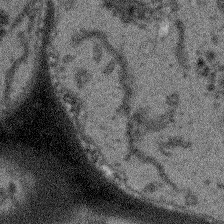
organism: Arabidopsis thaliana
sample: Root tip